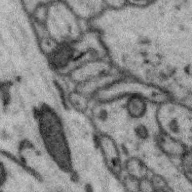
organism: Zebra finch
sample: Brain